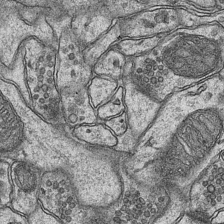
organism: Mouse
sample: CA1 Hippocampus